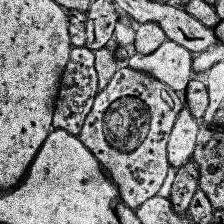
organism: Human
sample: Temporal Lobe